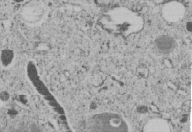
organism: C. elegans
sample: C. elegans embryo early stage